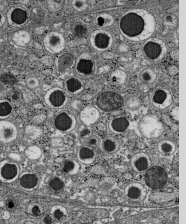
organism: C57BL Mouse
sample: Pancreatic islet